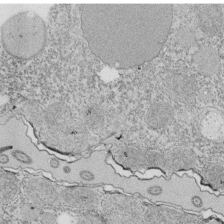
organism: Tetrahymena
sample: Cilia in tetrahymena